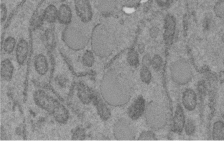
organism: C. elegans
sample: C. elegans embryo early stage